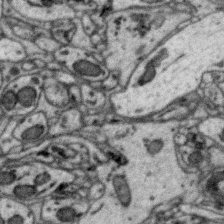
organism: Zebra finch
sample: Brain